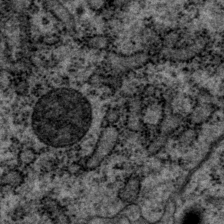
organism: P. pacificus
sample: Pharynx